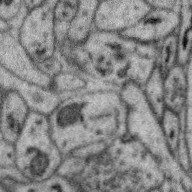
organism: Zebra finch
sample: Brain